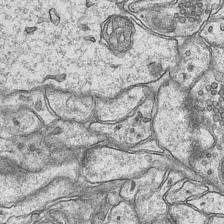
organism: Mouse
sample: CA1 Hippocampus